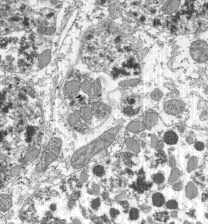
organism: C57BL Mouse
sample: Pancreatic islet